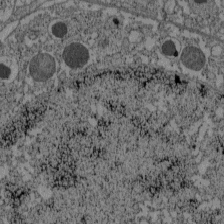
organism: C57BL Mouse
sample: Pancreatic islet